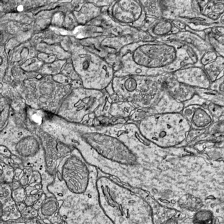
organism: Mouse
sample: Visual Cortex